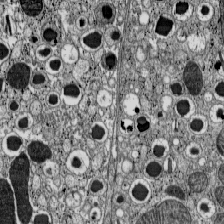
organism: C57BL Mouse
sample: Pancreatic islet